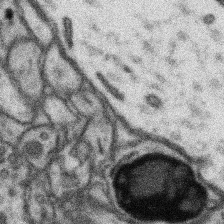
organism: Mouse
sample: Somatosensory cortex neuropil